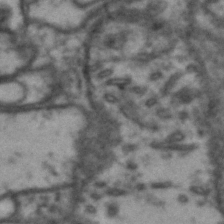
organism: Drosophila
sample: Brain